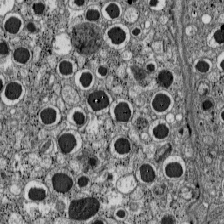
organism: C57BL Mouse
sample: Pancreatic islet